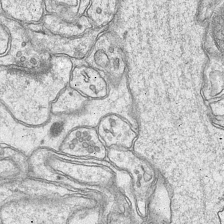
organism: Mouse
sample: CA1 Hippocampus